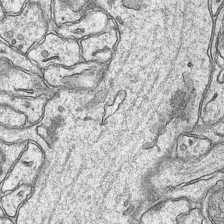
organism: Mouse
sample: CA1 Hippocampus